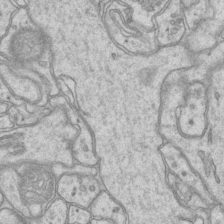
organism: Mouse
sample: CA1 Hippocampus